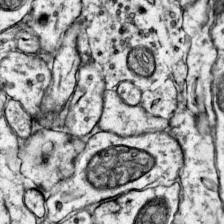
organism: Mouse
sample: Primary visual cortex